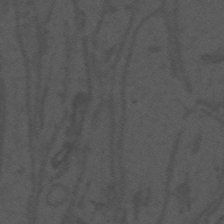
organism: Mouse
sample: Suprachiasmatic nucleus